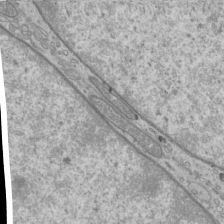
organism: Mouse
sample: Cilia; mouse epididymis